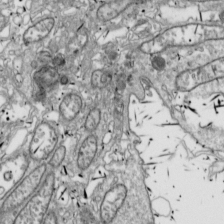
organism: Drosophila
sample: Cell division; meiosis; drosophila spermatocytes